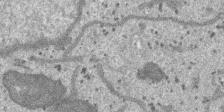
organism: Human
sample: Lung epithelial cells infected with SARS-CoV-2